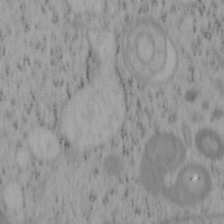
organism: Mouse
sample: OT-I killer T cells with ID8 ovarian cancer cells